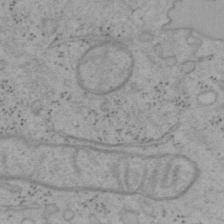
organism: Human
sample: HeLa cells